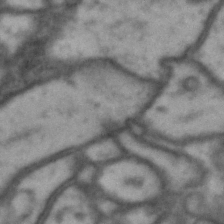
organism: Drosophila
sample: Brain